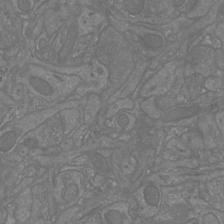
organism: Mouse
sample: Cortical neurons